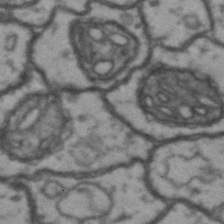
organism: Drosophila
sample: Brain